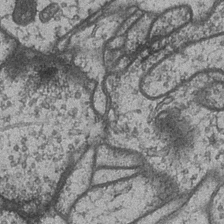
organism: Drosophila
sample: Optic medulla